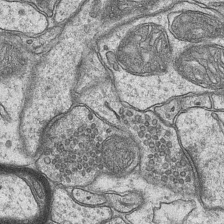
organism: Mouse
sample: CA1 Hippocampus